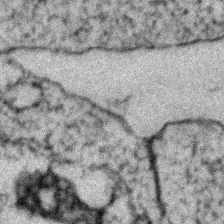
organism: Zebrafish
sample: Zebrafish embryo